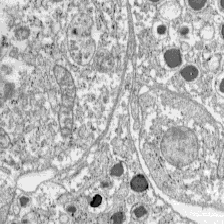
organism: C57BL Mouse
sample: Pancreatic islet